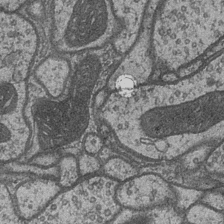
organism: Drosophila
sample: Optic medulla